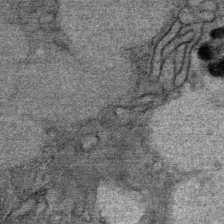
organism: Mouse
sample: Mouse Salivary gland